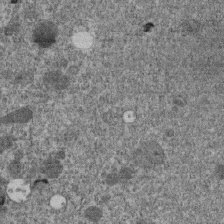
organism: C. elegans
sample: C. elegans embryo early stage